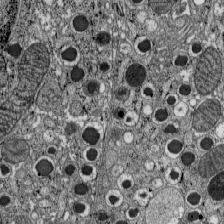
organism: C57BL Mouse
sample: Pancreatic islet